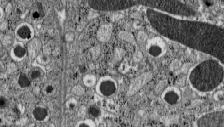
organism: C57BL Mouse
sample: Pancreatic islet